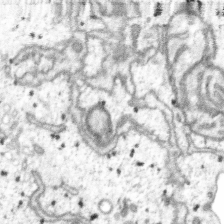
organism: Human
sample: HeLa cells